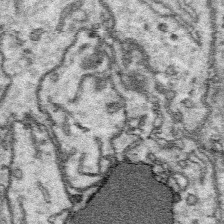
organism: Platynereis dumerilii